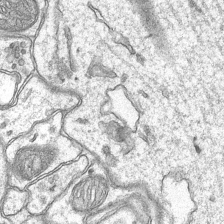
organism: Mouse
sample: CA1 Hippocampus